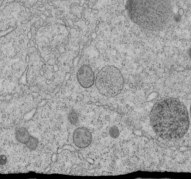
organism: C. elegans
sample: C. elegans embryo early stage